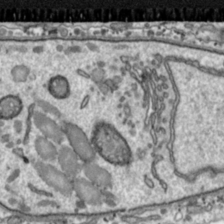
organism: Toxoplasma gondii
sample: Parasites in a vacuole inside a host cell